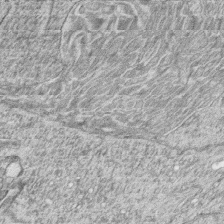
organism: Zebrafish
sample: synaptic ribbons in rod cells and cone cells